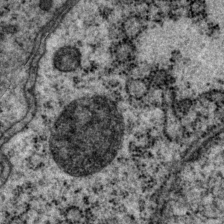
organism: P. pacificus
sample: Pharynx